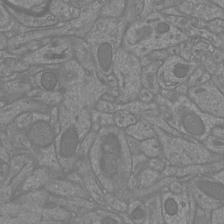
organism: Mouse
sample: Cortical neurons